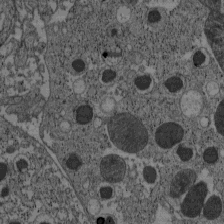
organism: C57BL Mouse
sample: Pancreatic islet